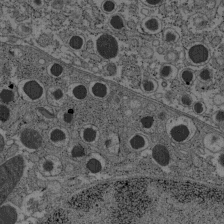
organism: C57BL Mouse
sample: Pancreatic islet